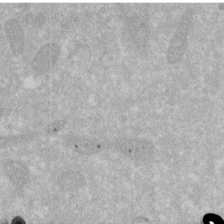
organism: Human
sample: HIV infected U937 cells